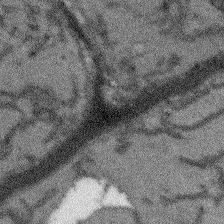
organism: Arabidopsis thaliana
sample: Root tip